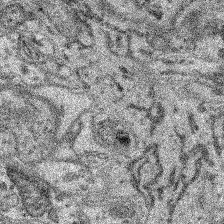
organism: Mouse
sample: Retina